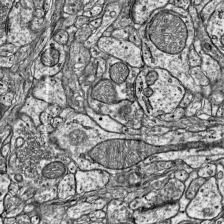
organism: Mouse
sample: Visual Cortex